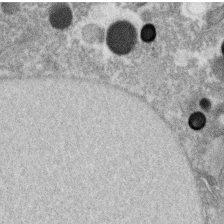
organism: C. elegans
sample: C. elegans oocyte; sperm cells